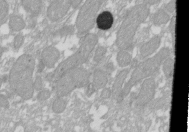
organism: Xenopus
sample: Cilia; centrioles in frog embryo cells